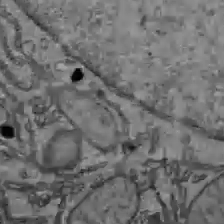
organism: C57BL Mouse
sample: Liver